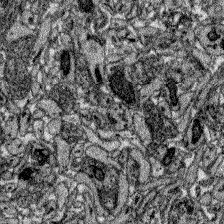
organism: Zebrafish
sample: Larval olfactory bulb